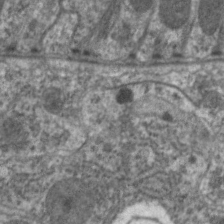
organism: C. elegans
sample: Pharynx